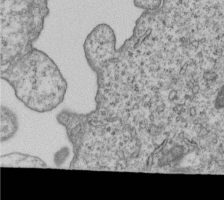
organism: Human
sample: MDA-MB-231 cells